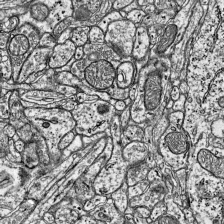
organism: Mouse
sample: Visual Cortex